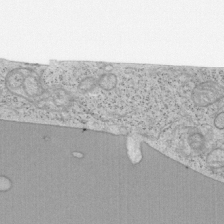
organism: Human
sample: HeLa cells